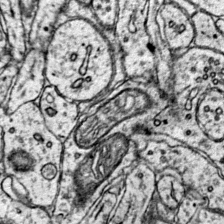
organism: Mouse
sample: Primary visual cortex